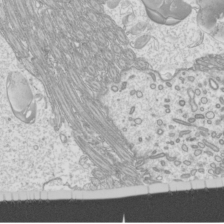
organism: Mouse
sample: Cilia; mouse epididymis